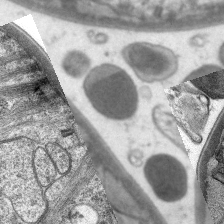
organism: C. elegans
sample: Pharynx